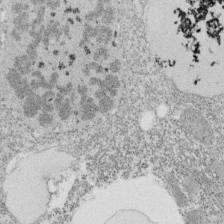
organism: Tetrahymena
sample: Cilia in tetrahymena